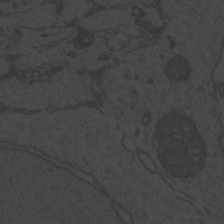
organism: Zebrafish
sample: Macrophage infected with Toxoplasma gondii